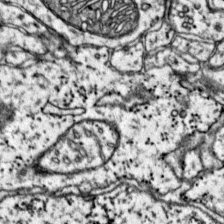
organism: Mouse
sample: Primary visual cortex